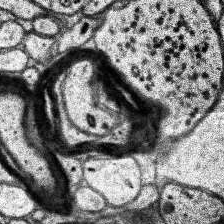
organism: Human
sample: Temporal Lobe